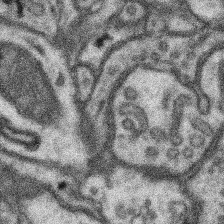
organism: Mouse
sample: Somatosensory cortex neuropil